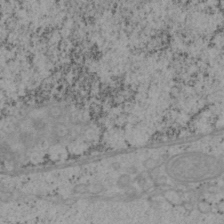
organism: Human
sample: HeLa cells